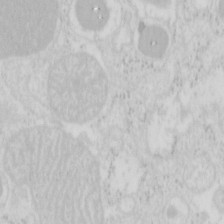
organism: Mouse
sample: Pancreas